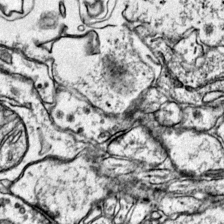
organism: Mouse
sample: Primary visual cortex